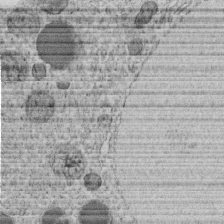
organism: C. elegans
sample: C. elegans embryo early stage